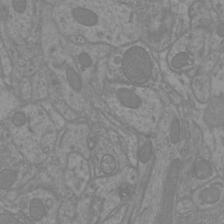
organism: Mouse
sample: Cortical neurons